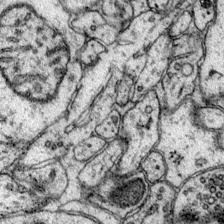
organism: Mouse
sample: Primary visual cortex